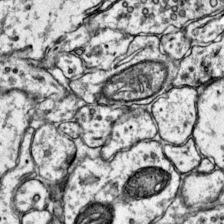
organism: Mouse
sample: Primary visual cortex